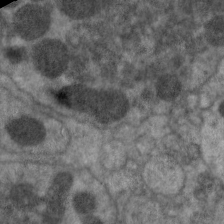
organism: C. elegans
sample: Pharynx